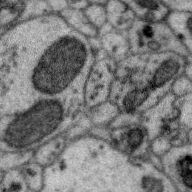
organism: Zebra finch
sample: Brain